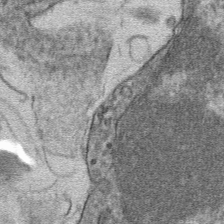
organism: Mouse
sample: Mouse hepatocytes